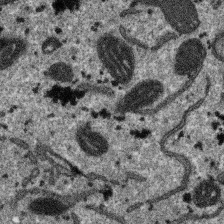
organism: Human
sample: Lung epithelial cells infected with SARS-CoV-2